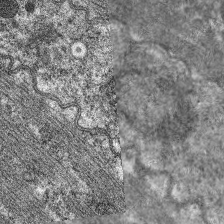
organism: C. elegans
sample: Pharynx